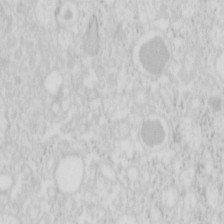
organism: Mouse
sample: Pancreas